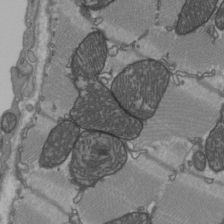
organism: C57BL Mouse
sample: Heart